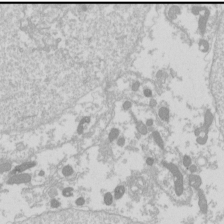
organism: Drosophila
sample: Cell division; meiosis; drosophila spermatocytes